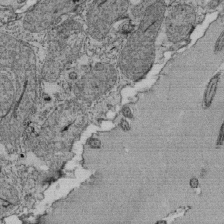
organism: Tetrahymena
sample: Cilia in tetrahymena